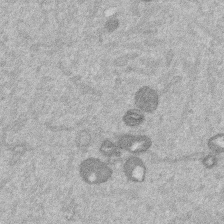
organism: Mouse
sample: Dividing mouse embryo 1 cell stage